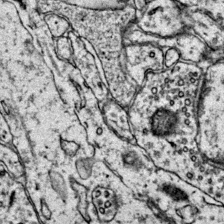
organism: Mouse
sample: Primary visual cortex